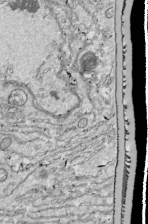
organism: Drosophila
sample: Cell division; meiosis; drosophila spermatocytes